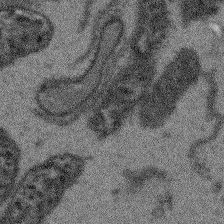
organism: Arabidopsis thaliana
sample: Root tip